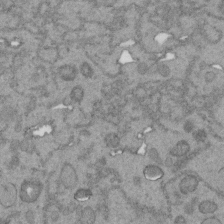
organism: C. elegans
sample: C. elegans embryo early stage